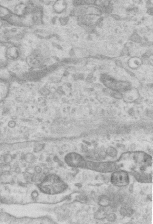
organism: Mouse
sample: Centriole in ependymal cells